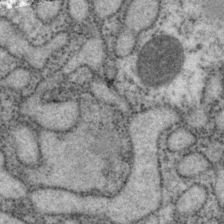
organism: P. pacificus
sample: Pharynx